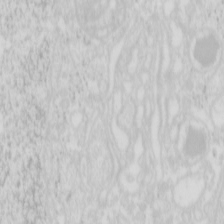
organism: Mouse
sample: Pancreas